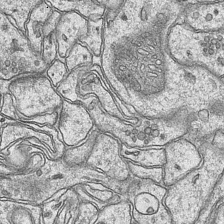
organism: Mouse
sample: CA1 Hippocampus